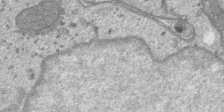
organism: Human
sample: Lung epithelial cells infected with SARS-CoV-2